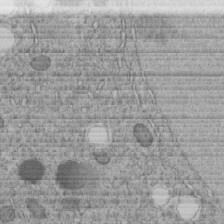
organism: C. elegans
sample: C. elegans embryo early stage